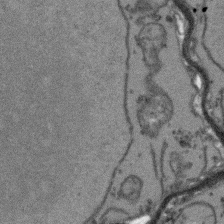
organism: Arabidopsis thaliana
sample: Root tip